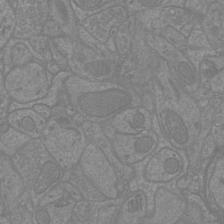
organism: Mouse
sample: Cortical neurons